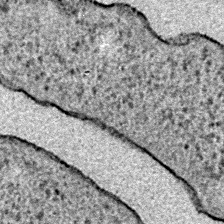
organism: E. coli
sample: E. Coli Bacteria